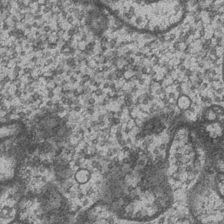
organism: Drosophila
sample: Optic medulla